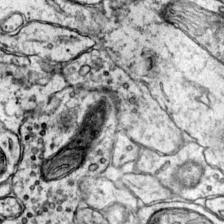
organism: Mouse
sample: Primary visual cortex